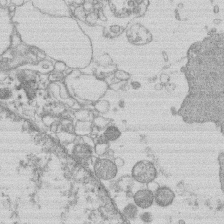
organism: Human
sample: Macrophage cells